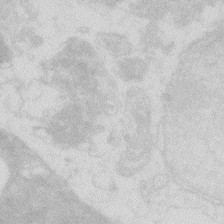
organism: Zebrafish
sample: Macrophage